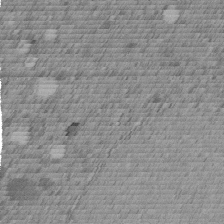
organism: C. elegans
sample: C. elegans embryo early stage